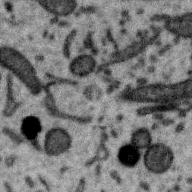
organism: Zebra finch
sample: Brain